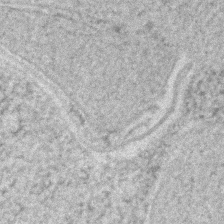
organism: Human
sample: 1205lu cells